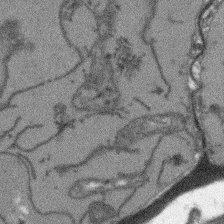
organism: Arabidopsis thaliana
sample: Root tip